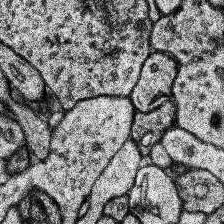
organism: Human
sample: Temporal Lobe